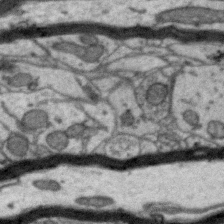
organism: Zebra finch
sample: Brain